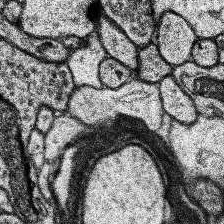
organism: Human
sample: Temporal Lobe